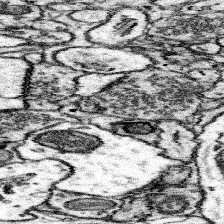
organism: Mouse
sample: Somatosensory cortex neuropil